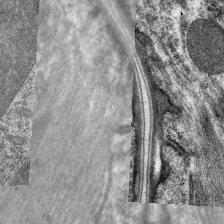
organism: C. elegans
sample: Pharynx